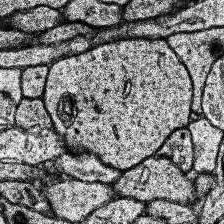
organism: Human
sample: Temporal Lobe